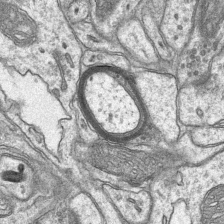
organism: Mouse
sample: CA1 Hippocampus